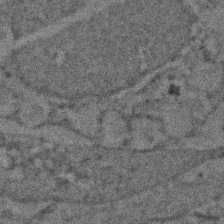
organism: Zebrafish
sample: Zebrafish embryo